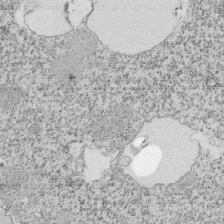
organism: Tetrahymena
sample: Cilia in tetrahymena